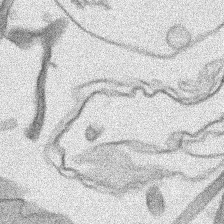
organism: Human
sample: Mitochondria in HCT116 cells